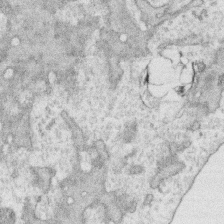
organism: Human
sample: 1205lu cells